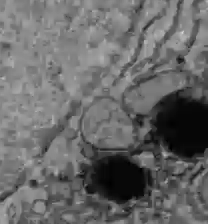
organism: C57BL Mouse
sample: Liver